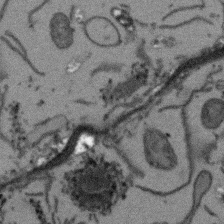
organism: Arabidopsis thaliana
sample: Root tip